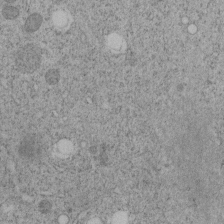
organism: C. elegans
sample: C. elegans embryo early stage